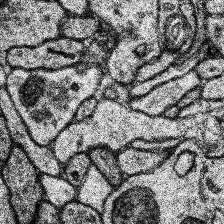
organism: Human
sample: Temporal Lobe